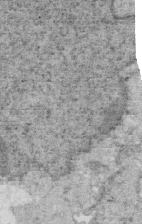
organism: Mouse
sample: Multiciliated cells